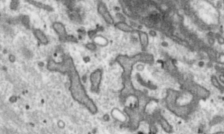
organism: Toxoplasma gondii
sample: Parasites in a vacuole inside a host cell